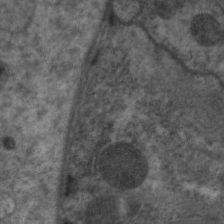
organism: C. elegans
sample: Pharynx